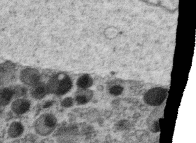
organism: C. elegans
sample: C. elegans oocyte; sperm cells